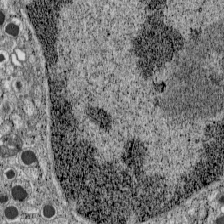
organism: C57BL Mouse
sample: Pancreatic islet